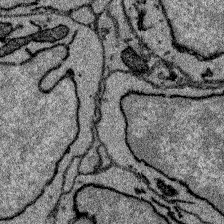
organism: Zebrafish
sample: Larval olfactory bulb